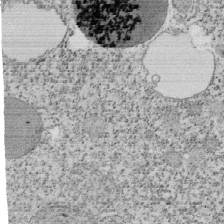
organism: Tetrahymena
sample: Cilia in tetrahymena